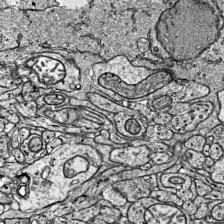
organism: Mouse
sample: Visual Cortex